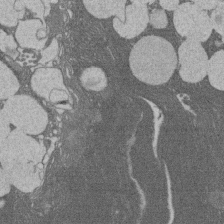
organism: Rat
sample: Salivary granule